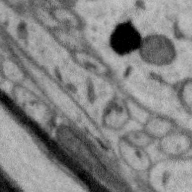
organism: Zebra finch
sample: Brain